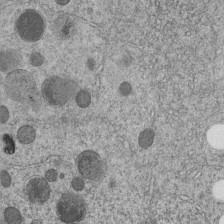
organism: C. elegans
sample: C. elegans embryo early stage